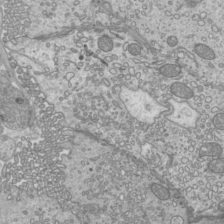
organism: Mouse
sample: Cilia; mouse epididymis